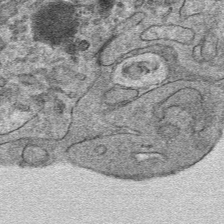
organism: Mouse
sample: Mouse hepatocytes